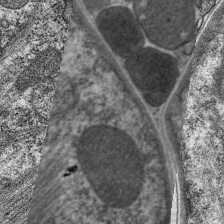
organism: C. elegans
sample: Pharynx